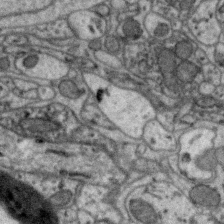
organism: Zebra finch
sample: Brain